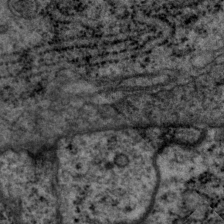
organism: P. pacificus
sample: Pharynx